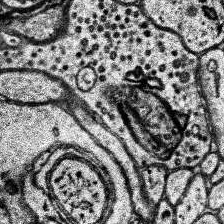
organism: Human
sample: Temporal Lobe